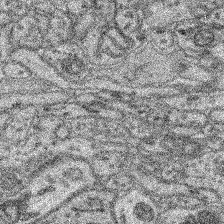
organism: Mouse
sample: Retina